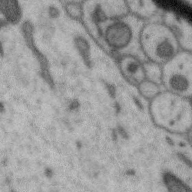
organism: Zebra finch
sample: Brain